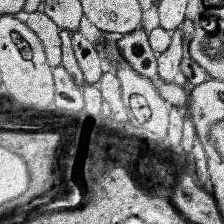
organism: Human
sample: Temporal Lobe